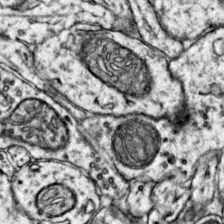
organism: Mouse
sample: Primary visual cortex